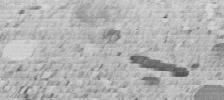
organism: C. elegans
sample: C. elegans embryo early stage